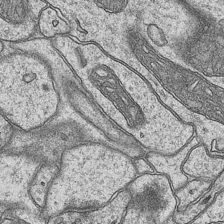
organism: Mouse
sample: CA1 Hippocampus